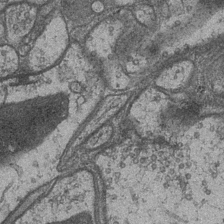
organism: Drosophila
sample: Optic medulla